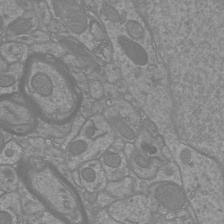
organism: Mouse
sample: Cortical neurons